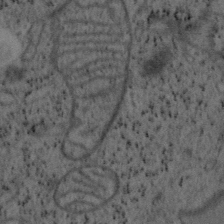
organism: Human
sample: HeLa cells